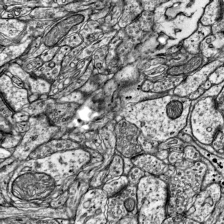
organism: Mouse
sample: Visual Cortex